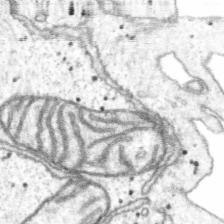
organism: Human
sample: HeLa cells